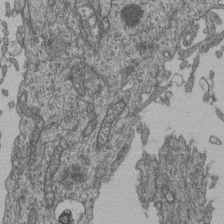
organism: Human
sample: Retinal organoid Rod and Cone cells